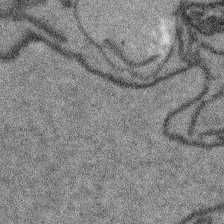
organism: Arabidopsis thaliana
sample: Root tip